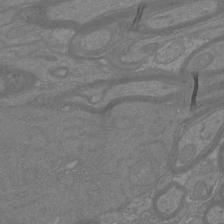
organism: Mouse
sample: Cortical neurons